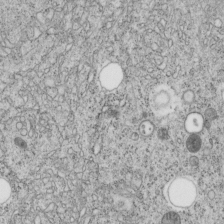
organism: C. elegans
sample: C. elegans embryo early stage